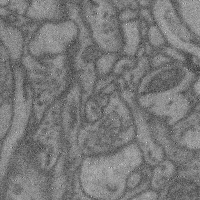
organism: Mouse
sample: Cerebral cortex